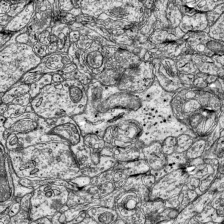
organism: Mouse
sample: Visual Cortex